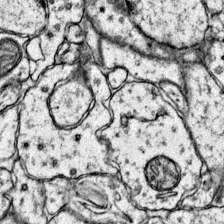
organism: Mouse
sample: Primary visual cortex